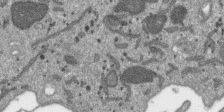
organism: Human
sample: Lung epithelial cells infected with SARS-CoV-2